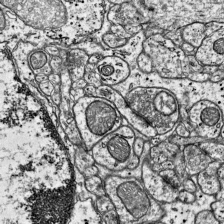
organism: Mouse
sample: Visual Cortex